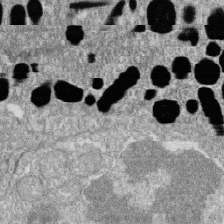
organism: Zebrafish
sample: Cilia; retinal pigment epithelium